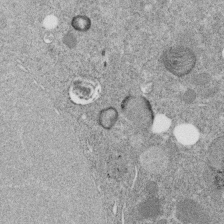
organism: C. elegans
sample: C. elegans embryo early stage